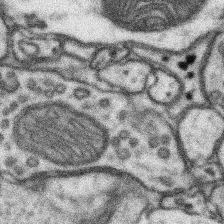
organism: Mouse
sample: Somatosensory cortex neuropil